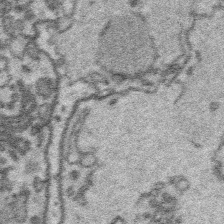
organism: Platynereis dumerilii